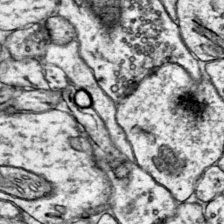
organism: Mouse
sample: Primary visual cortex